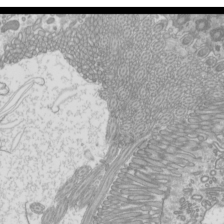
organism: Mouse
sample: Cilia; mouse epididymis